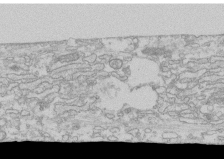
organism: Human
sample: CRL-1474